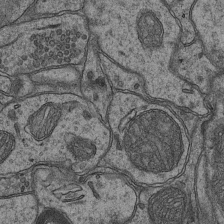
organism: Mouse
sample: CA1 Hippocampus